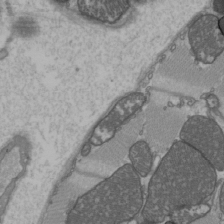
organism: C57BL Mouse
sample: Heart